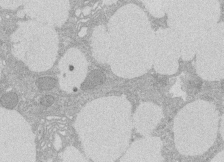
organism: Rat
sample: Salivary granule